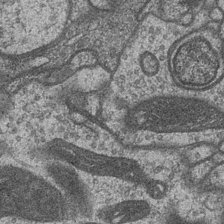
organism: Drosophila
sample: Optic medulla